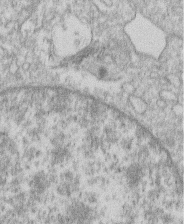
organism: Human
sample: Macrophage cells